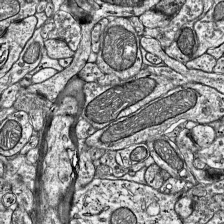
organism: Mouse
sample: Visual Cortex